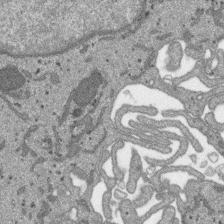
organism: Human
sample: Lung epithelial cells infected with SARS-CoV-2